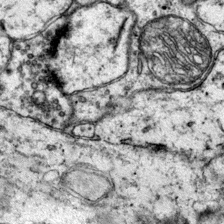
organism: Mouse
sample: Primary visual cortex